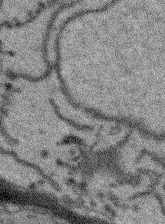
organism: Arabidopsis thaliana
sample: Root tip